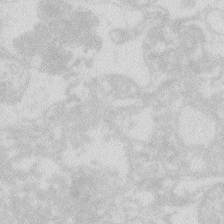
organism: Zebrafish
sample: Macrophage